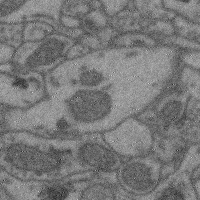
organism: Mouse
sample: Cerebral cortex